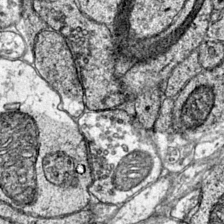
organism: Mouse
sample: Primary visual cortex